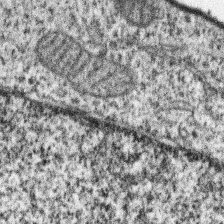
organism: Human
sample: HeLa cells